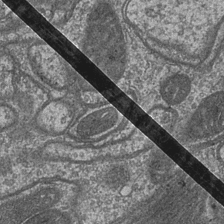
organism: Drosophila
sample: Optic medulla